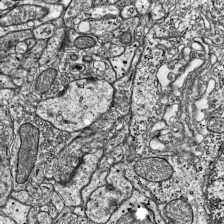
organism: Mouse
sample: Visual Cortex